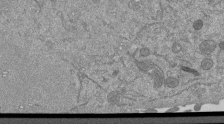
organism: Mouse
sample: ED-1 cell nuclei; centrioles